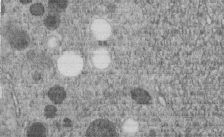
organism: C. elegans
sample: C. elegans embryo early stage